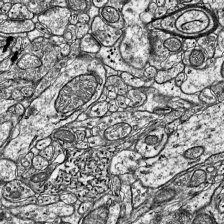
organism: Mouse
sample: Visual Cortex